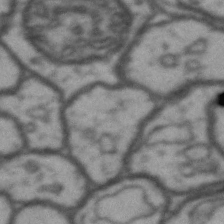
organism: Drosophila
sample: Brain